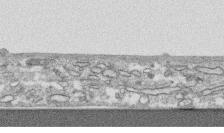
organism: Human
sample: CRL-1474